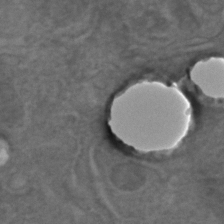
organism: C. elegans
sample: C. elegans embryo